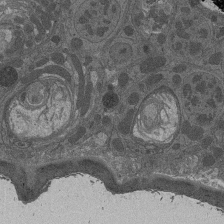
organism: Drosophila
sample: Antenna